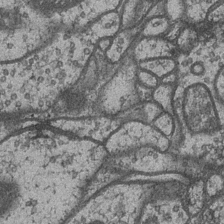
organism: Drosophila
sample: Optic medulla